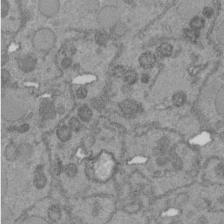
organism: C. elegans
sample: C. elegans embryo early stage